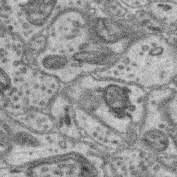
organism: Mouse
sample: Retina